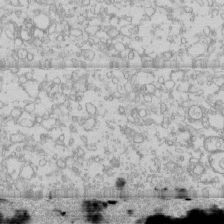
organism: Human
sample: CRL-1474